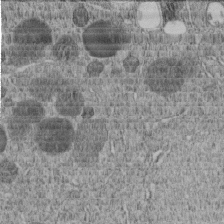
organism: C. elegans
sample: C. elegans embryo early stage